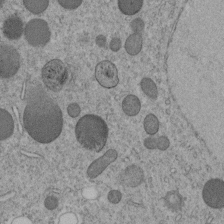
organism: C. elegans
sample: C. elegans embryo early stage